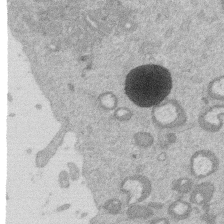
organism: Mouse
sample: Dividing mouse embryo 1 cell stage